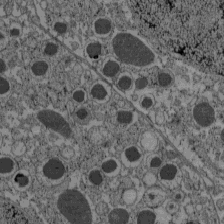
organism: C57BL Mouse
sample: Pancreatic islet